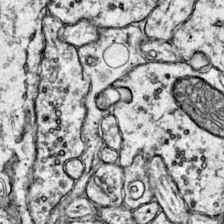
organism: Mouse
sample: Primary visual cortex